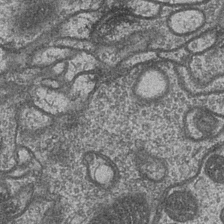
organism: Drosophila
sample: Optic medulla